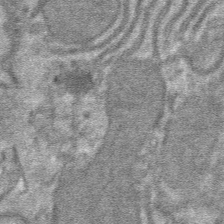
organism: Mouse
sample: Mouse hepatocytes